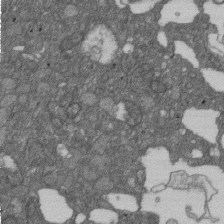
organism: Drosophila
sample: Nephrocyte